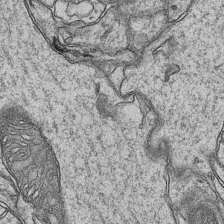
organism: Mouse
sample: CA1 Hippocampus